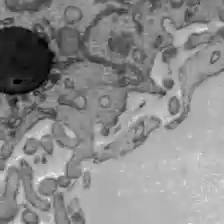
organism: C57BL Mouse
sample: Liver